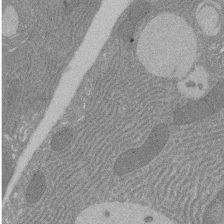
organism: Rat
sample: Salivary granule